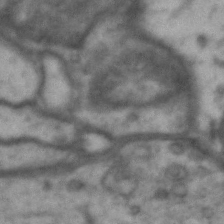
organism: Drosophila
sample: Brain